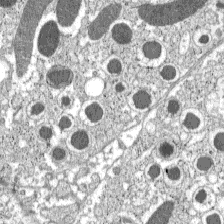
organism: C57BL Mouse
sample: Pancreatic islet